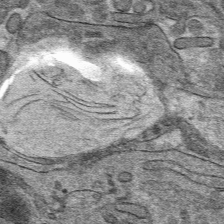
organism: Mouse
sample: Mouse hepatocytes